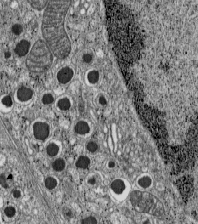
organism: C57BL Mouse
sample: Pancreatic islet